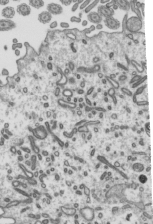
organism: Mouse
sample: Mouse epididymis efferent ductule cilia